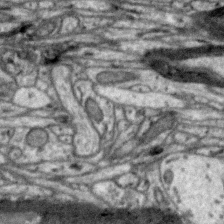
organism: Zebra finch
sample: Brain